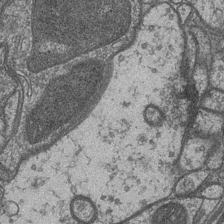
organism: Drosophila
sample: Optic medulla